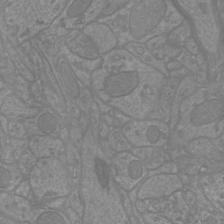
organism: Mouse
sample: Cortical neurons